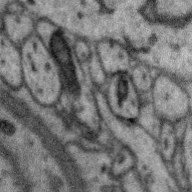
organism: Zebra finch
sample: Brain